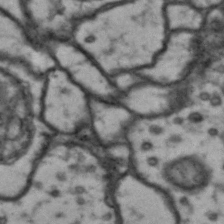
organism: Drosophila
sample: Brain